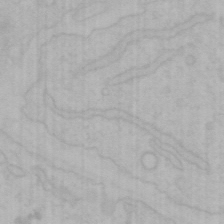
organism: Mouse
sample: Choroid plexus